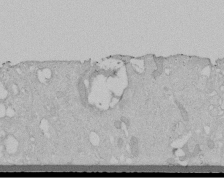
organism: Human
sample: Melanocyte Keratinocyte synapse skin construct